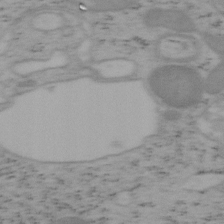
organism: Mouse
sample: OT-I killer T cells with ID8 ovarian cancer cells